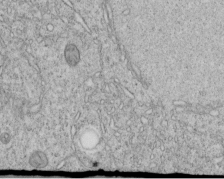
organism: C. elegans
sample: C. elegans embryo early stage